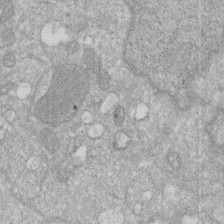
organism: Human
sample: HIV infected U937 cells